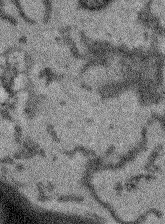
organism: Arabidopsis thaliana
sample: Root tip